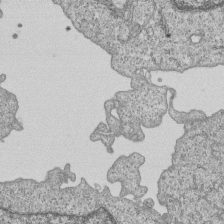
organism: Human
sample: MDA-MB-231 cells